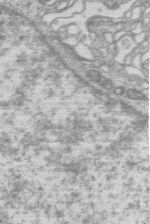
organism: Human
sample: Macrophage cells